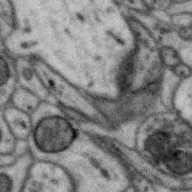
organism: Zebra finch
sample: Brain